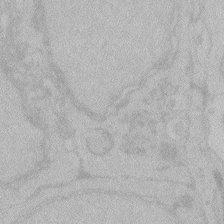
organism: Zebrafish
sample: Macrophage infected with Toxoplasma gondii